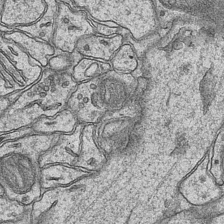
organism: Mouse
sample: CA1 Hippocampus